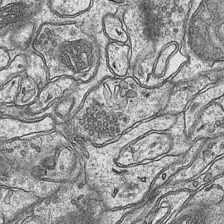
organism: Mouse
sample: CA1 Hippocampus